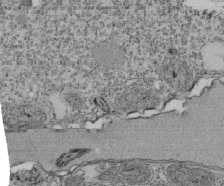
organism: Tetrahymena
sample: Cilia in tetrahymena